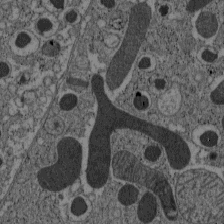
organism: C57BL Mouse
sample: Pancreatic islet